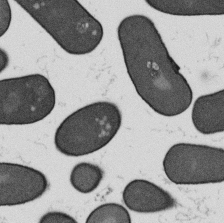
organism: B. subtilis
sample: Bacterial spore